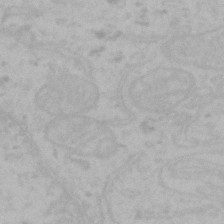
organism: Mouse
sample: Choroid plexus